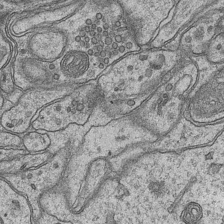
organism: Mouse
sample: CA1 Hippocampus